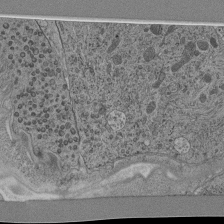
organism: C. elegans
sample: C. elegans pharynx